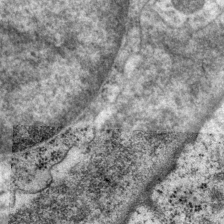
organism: P. pacificus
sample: Pharynx